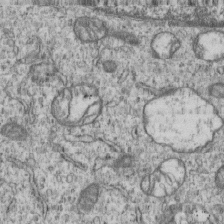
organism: Human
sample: MDA-MB-231 cells